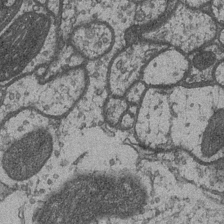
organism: Drosophila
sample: Optic medulla